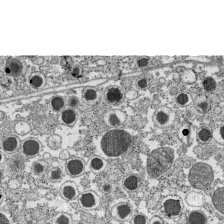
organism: C57BL Mouse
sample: Pancreatic islet